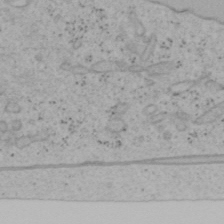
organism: Human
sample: HeLa cells